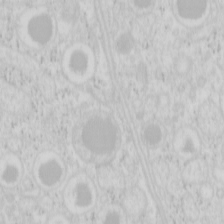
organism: Mouse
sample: Pancreas